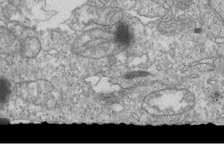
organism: Human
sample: HeLa cell HIV synapse